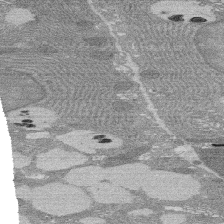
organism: Rat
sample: Salivary granule